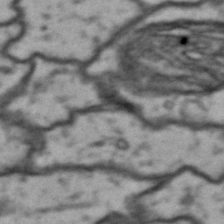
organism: Drosophila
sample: Brain